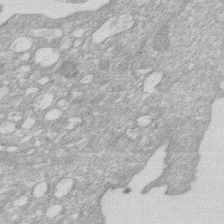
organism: Human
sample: HIV infected U937 cells